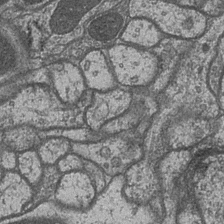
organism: Drosophila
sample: Optic medulla